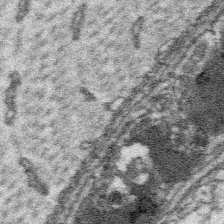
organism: Platynereis dumerilii